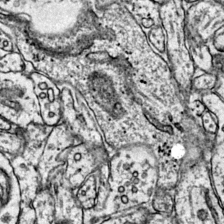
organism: Mouse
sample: Primary visual cortex